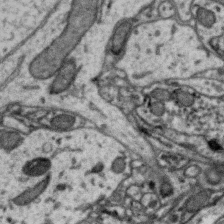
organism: Zebra finch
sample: Brain